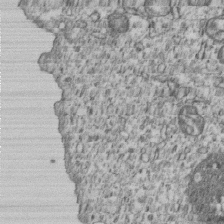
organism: Human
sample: MDA-MB-231 cells